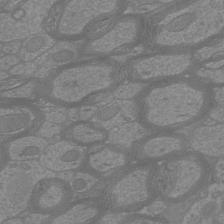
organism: Mouse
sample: Cortical neurons